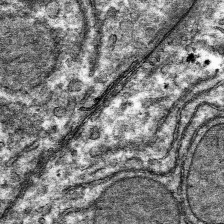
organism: Mouse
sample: Mouse hepatocytes